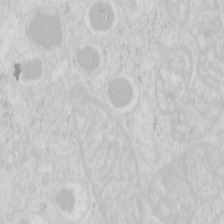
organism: Mouse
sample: Pancreas